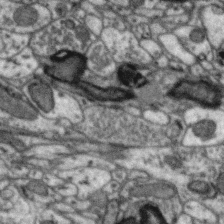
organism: Zebra finch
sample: Brain